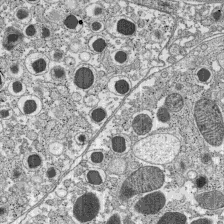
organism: C57BL Mouse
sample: Pancreatic islet